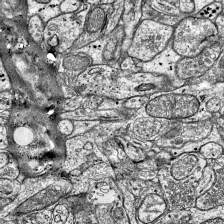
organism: Mouse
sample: Visual Cortex